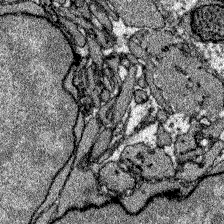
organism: Zebrafish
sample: Larval olfactory bulb